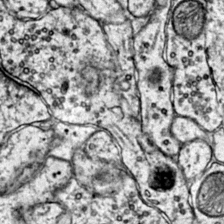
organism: Mouse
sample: Primary visual cortex